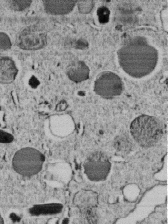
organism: C. elegans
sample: C. elegans embryo early stage